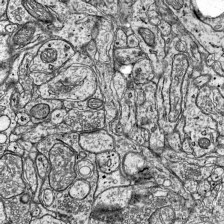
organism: Mouse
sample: Visual Cortex